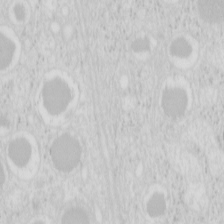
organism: Mouse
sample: Pancreas